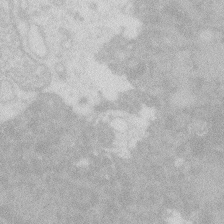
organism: Zebrafish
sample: Macrophage